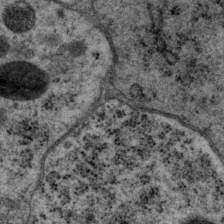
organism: P. pacificus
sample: Pharynx